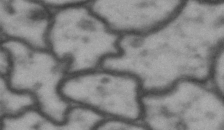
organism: Drosophila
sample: Brain